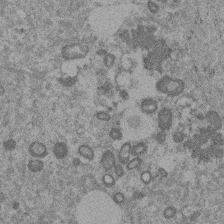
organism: Mouse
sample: Dividing mouse embryo 1 cell stage